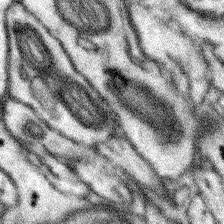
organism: Mouse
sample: Somatosensory cortex neuropil